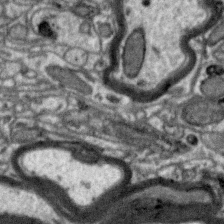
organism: Zebra finch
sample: Brain